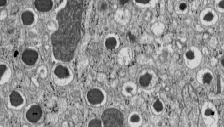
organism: C57BL Mouse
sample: Pancreatic islet